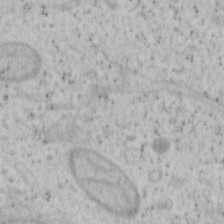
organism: Human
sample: HeLa cells